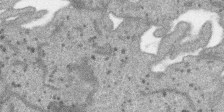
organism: Human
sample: Lung epithelial cells infected with SARS-CoV-2